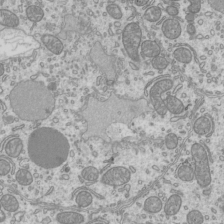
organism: Mouse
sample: Cilia; mouse epididymis